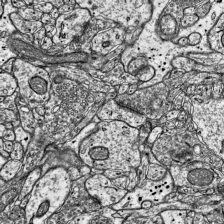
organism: Mouse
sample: Visual Cortex